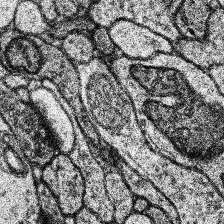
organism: Human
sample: Temporal Lobe